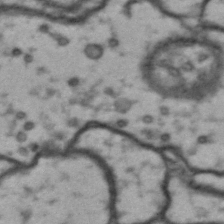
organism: Drosophila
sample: Brain